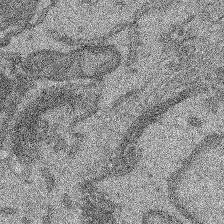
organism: Human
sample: HeLa cells